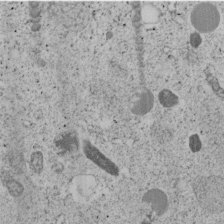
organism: C. elegans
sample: C. elegans embryo early stage